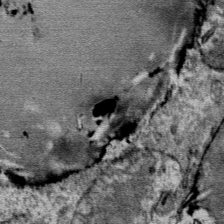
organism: Mouse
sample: Mouse Salivary gland